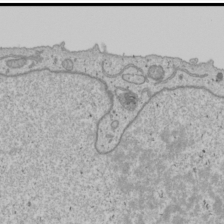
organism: Human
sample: Mitochondria in U2OS cells